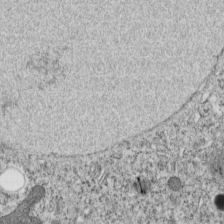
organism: C. elegans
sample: C. elegans embryo early stage